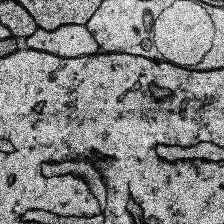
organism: Human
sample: Temporal Lobe